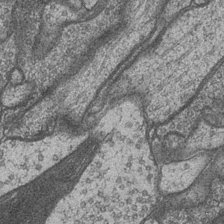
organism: Drosophila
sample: Optic medulla